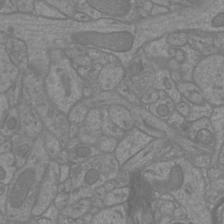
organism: Mouse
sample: Cortical neurons